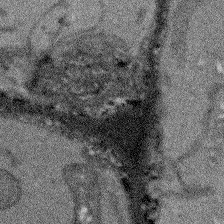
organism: Arabidopsis thaliana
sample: Root tip